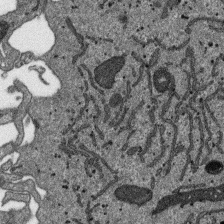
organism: Human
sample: Lung epithelial cells infected with SARS-CoV-2